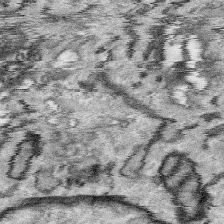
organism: Human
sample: HeLa cells